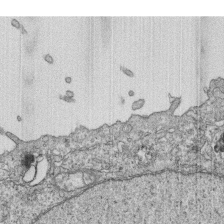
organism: Human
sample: HeLa cell HIV synapse